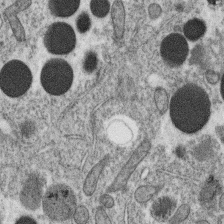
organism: C. elegans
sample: C. elegans oocyte; sperm cells